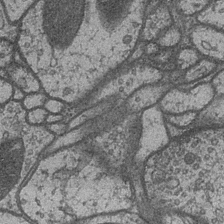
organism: Drosophila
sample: Optic medulla